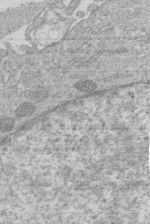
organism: Human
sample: Macrophage cells